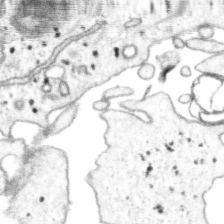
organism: Human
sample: HeLa cells